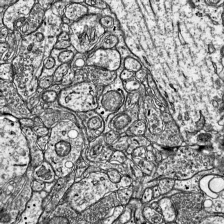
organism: Mouse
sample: Visual Cortex